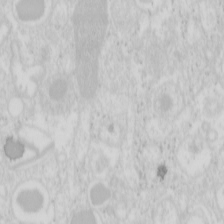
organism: Mouse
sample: Pancreas